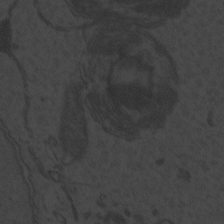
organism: Zebrafish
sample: Macrophage infected with Toxoplasma gondii